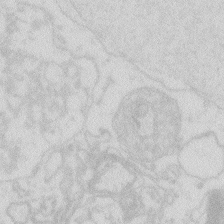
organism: Zebrafish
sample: Macrophage